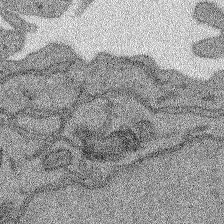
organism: Human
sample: HeLa cells